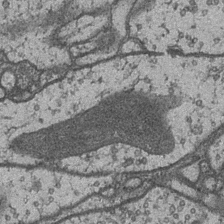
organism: Drosophila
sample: Optic medulla